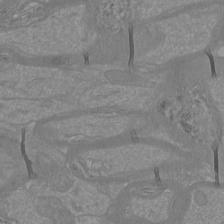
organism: Mouse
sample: Cortical neurons